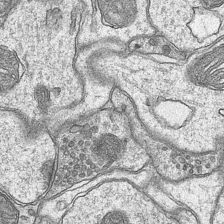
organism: Mouse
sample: CA1 Hippocampus